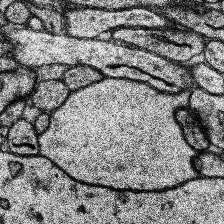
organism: Human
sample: Temporal Lobe